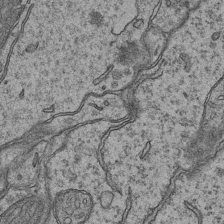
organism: Mouse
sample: CA1 Hippocampus